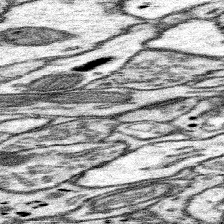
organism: Mouse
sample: Somatosensory cortex neuropil